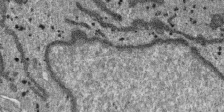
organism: Human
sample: Lung epithelial cells, uninfected (mock) control